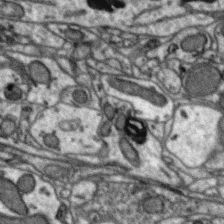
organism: Zebra finch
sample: Brain